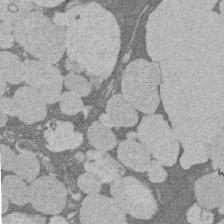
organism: Rat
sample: Salivary granule